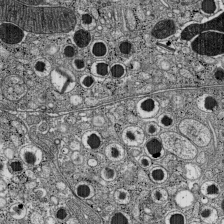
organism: C57BL Mouse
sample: Pancreatic islet